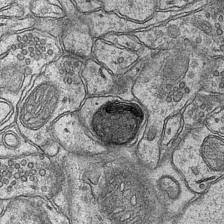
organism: Mouse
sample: CA1 Hippocampus